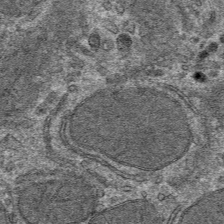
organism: Mouse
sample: Mouse hepatocytes